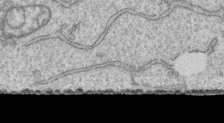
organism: Human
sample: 1205lu cells